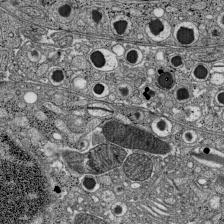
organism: C57BL Mouse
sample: Pancreatic islet